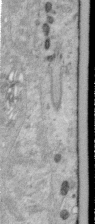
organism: Human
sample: Centriole in RPE cells